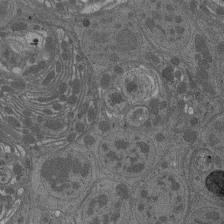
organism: Drosophila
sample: Antenna